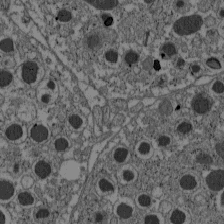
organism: C57BL Mouse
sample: Pancreatic islet